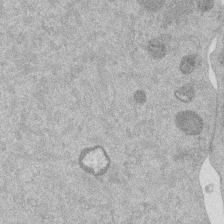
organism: Mouse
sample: Dividing mouse embryo 1 cell stage